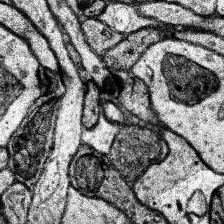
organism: Human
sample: Temporal Lobe